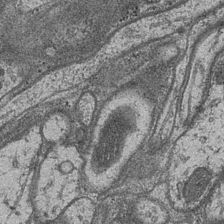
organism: Drosophila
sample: Optic medulla